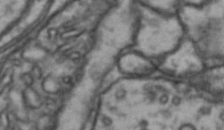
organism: Drosophila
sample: Brain